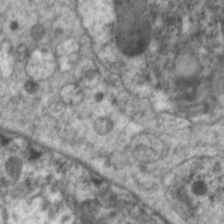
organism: C. elegans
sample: Pharynx